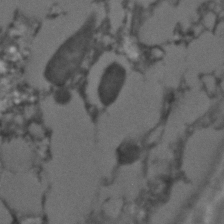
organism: C. elegans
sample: C. elegans embryo